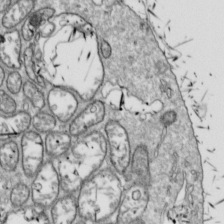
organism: Drosophila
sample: Cell division; meiosis; drosophila spermatocytes